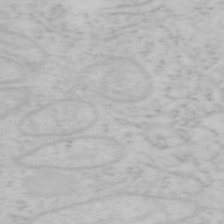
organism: Mouse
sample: OT-I killer T cells with ID8 ovarian cancer cells